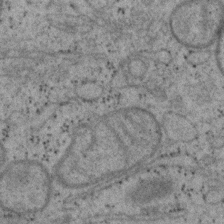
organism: Human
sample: HeLa cells